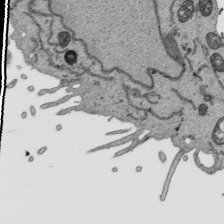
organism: Human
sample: Mitochondria in HCT116 cells